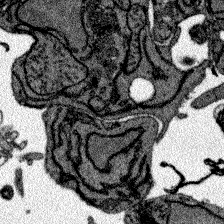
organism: Zebrafish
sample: Larval olfactory bulb